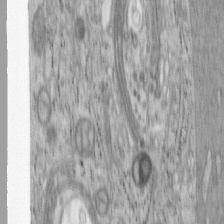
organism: Human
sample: HeLa cells